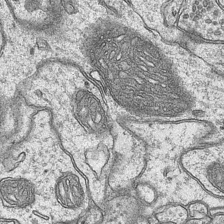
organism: Mouse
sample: CA1 Hippocampus